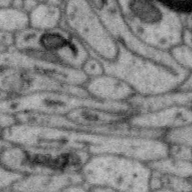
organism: Zebra finch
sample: Brain